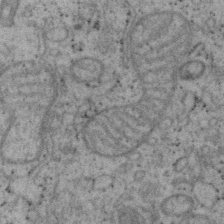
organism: Human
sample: HeLa cells